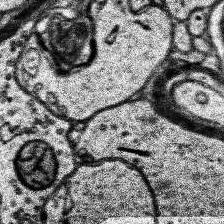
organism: Human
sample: Temporal Lobe